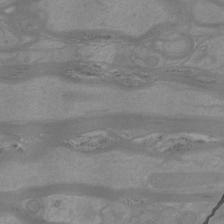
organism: Mouse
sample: Cortical neurons